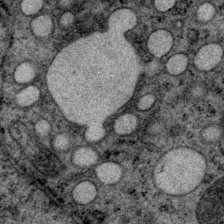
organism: P. pacificus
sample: Pharynx